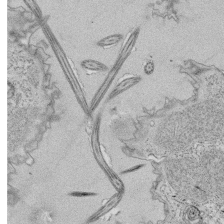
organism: Tetrahymena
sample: Cilia in tetrahymena